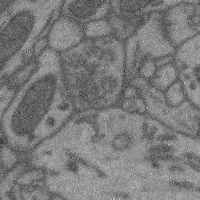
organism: Mouse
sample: Cerebral cortex